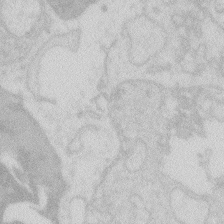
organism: Zebrafish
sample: Macrophage